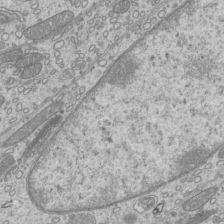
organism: Mouse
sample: Cilia; mouse epididymis